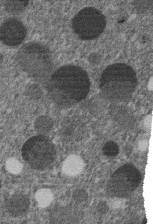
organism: C. elegans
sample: C. elegans embryo early stage